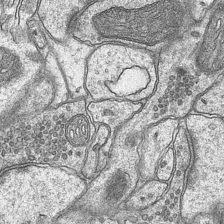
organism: Mouse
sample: CA1 Hippocampus